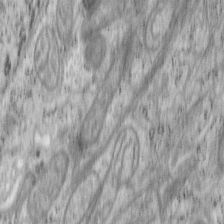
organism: Human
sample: HeLa cells